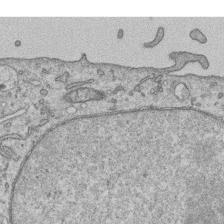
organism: Human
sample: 1205lu cells